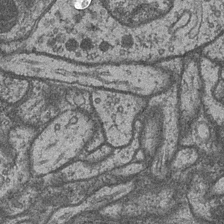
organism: Drosophila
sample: Optic medulla